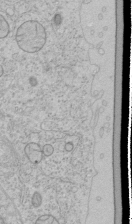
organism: Human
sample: Mitochondria in HCT116 cells